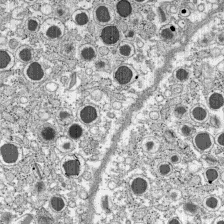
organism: C57BL Mouse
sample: Pancreatic islet